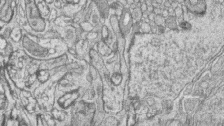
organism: Zebrafish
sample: synaptic ribbons in rod cells and cone cells